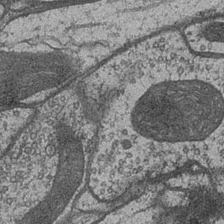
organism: Drosophila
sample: Optic medulla